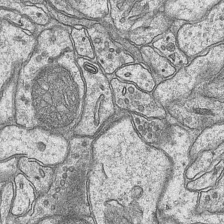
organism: Mouse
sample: CA1 Hippocampus